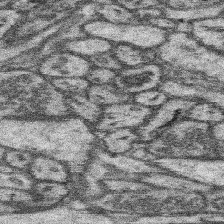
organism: Mouse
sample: Somatosensory cortex neuropil